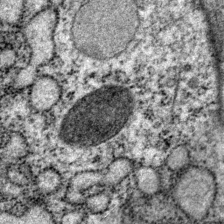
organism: P. pacificus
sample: Pharynx